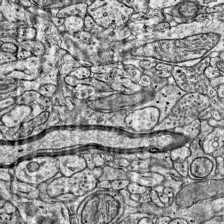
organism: Mouse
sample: Visual Cortex